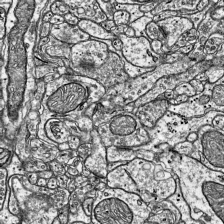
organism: Mouse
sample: Visual Cortex